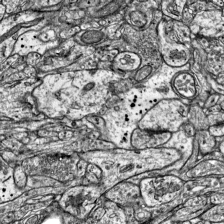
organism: Mouse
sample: Visual Cortex